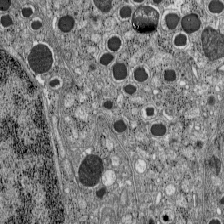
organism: C57BL Mouse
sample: Pancreatic islet